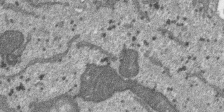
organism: Human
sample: Lung epithelial cells infected with SARS-CoV-2